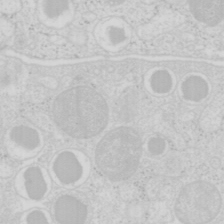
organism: Mouse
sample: Pancreas